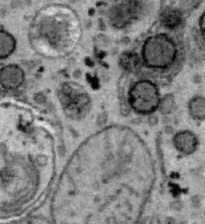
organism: Mouse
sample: Liver from an obese (ob/ob) mouse